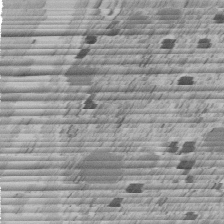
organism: C. elegans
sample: C. elegans embryo early stage